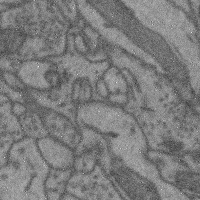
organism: Mouse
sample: Cerebral cortex